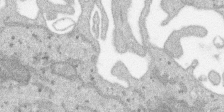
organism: Human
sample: Lung epithelial cells infected with SARS-CoV-2